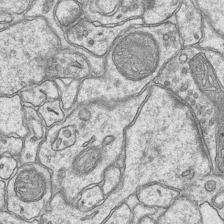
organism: Mouse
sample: CA1 Hippocampus